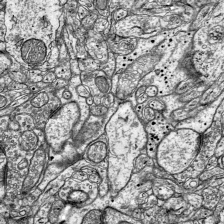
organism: Mouse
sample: Visual Cortex